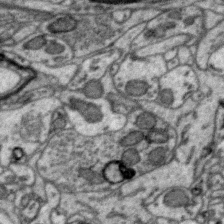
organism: Zebra finch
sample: Brain